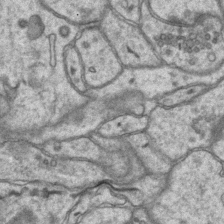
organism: Mouse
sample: CA1 Hippocampus